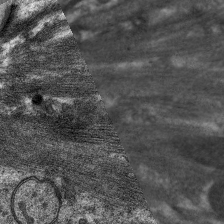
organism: C. elegans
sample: Pharynx